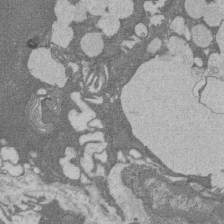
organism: Rat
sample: Salivary granule